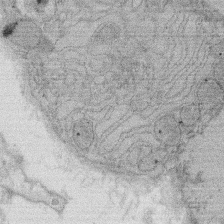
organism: Rat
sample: Salivary granule